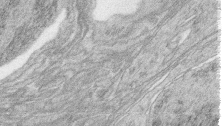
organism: Zebrafish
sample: synaptic ribbons in rod cells and cone cells